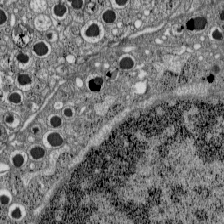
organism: C57BL Mouse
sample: Pancreatic islet